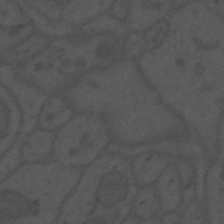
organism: Mouse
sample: Suprachiasmatic nucleus